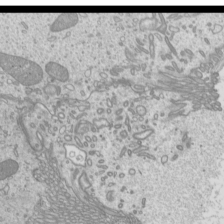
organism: Mouse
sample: Cilia; mouse epididymis